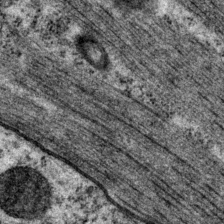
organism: P. pacificus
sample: Pharynx